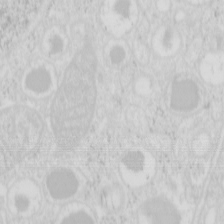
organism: Mouse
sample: Pancreas